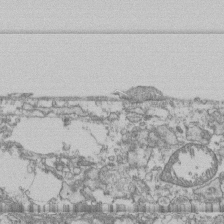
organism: Human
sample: Fibroblast cells